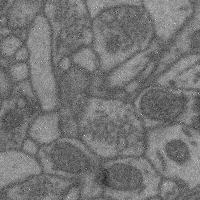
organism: Mouse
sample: Cerebral cortex